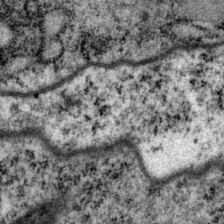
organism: P. pacificus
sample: Pharynx